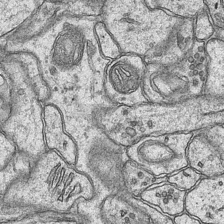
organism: Mouse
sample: CA1 Hippocampus